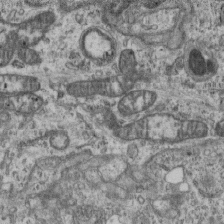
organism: Mouse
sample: Centriole in ependymal cells